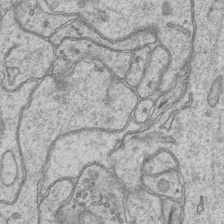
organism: Mouse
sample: CA1 Hippocampus